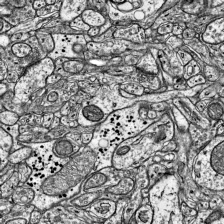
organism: Mouse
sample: Visual Cortex